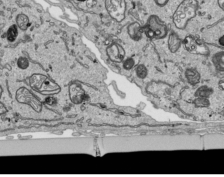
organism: Human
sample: Mitochondria in HCT116 cells